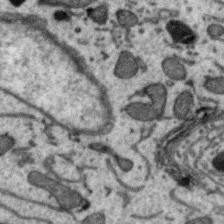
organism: Zebra finch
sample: Brain